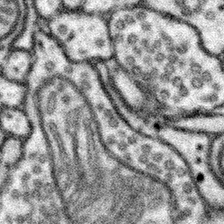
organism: Mouse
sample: Somatosensory cortex neuropil